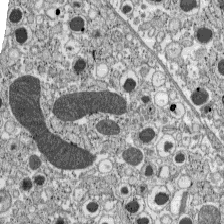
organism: C57BL Mouse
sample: Pancreatic islet